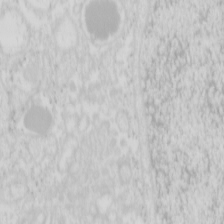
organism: Mouse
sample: Pancreas